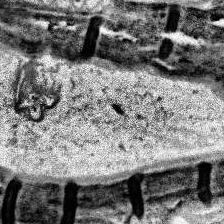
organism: Human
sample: Temporal Lobe